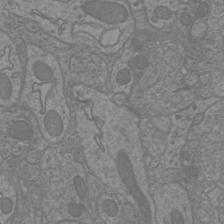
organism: Mouse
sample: Cortical neurons